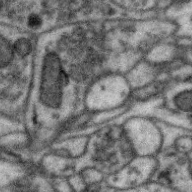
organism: Zebra finch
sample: Brain